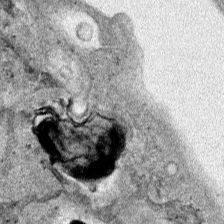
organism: Human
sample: Mitochondria in HCT116 cells